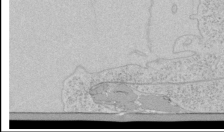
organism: Human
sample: Mitochondria in HCT116 cells